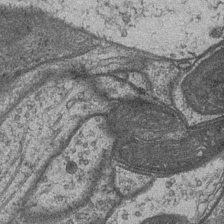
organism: Drosophila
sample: Optic medulla